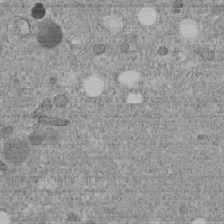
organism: C. elegans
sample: C. elegans embryo early stage